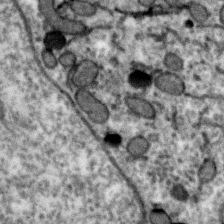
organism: Zebra finch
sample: Brain